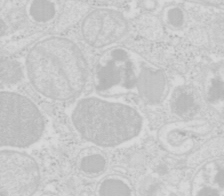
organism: Mouse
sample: Pancreas